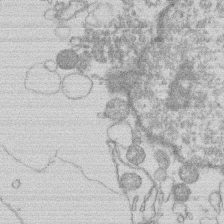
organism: Human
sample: Macrophage cells